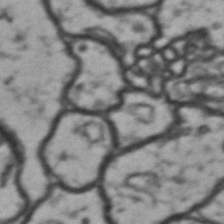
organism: Drosophila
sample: Brain